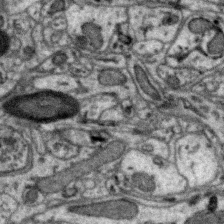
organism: Zebra finch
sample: Brain